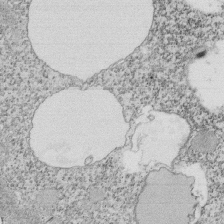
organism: Tetrahymena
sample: Cilia in tetrahymena